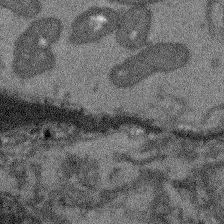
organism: Arabidopsis thaliana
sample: Root tip